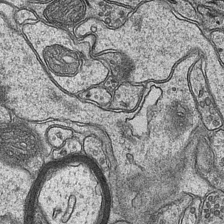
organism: Mouse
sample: CA1 Hippocampus